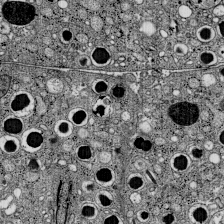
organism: C57BL Mouse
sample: Pancreatic islet